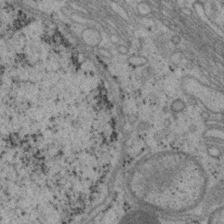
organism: Human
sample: HeLa cells